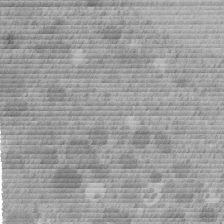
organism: C. elegans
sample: C. elegans embryo early stage